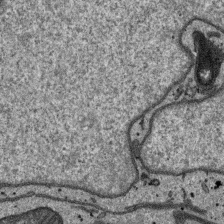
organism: Human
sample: Lung epithelial cells, uninfected (mock) control